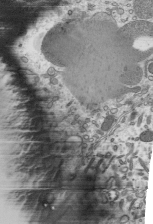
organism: Mouse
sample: Mouse epididymis efferent ductule cilia